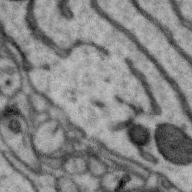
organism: Zebra finch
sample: Brain